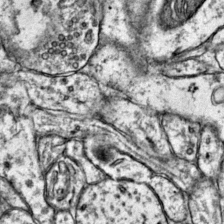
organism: Mouse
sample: Primary visual cortex